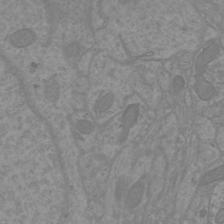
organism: Mouse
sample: Cortical neurons